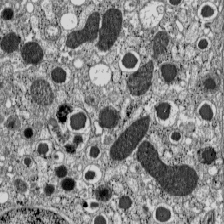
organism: C57BL Mouse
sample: Pancreatic islet